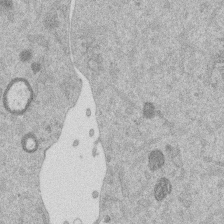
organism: Mouse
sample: Dividing mouse embryo 1 cell stage